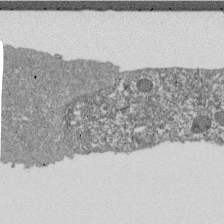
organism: Dictyostelium discoideum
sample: Dictyostelium multivesicular bodies